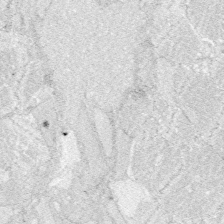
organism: Zebrafish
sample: Whole-Brain